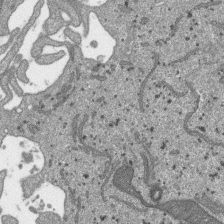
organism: Human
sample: Lung epithelial cells infected with SARS-CoV-2